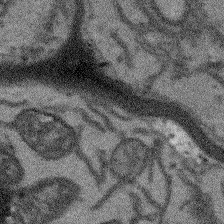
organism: Arabidopsis thaliana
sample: Root tip